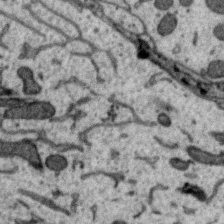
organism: Zebra finch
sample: Brain